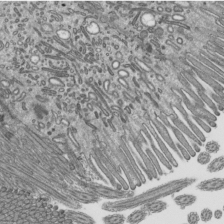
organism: Mouse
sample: Mouse epididymis efferent ductule cilia